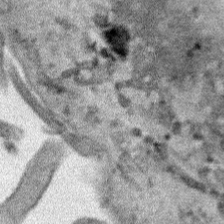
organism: Human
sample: Mitochondria in HCT116 cells